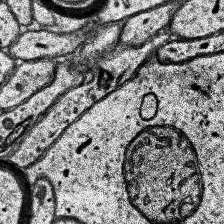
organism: Human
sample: Temporal Lobe